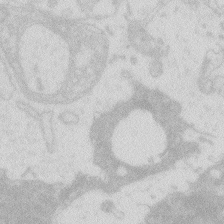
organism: Zebrafish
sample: Macrophage